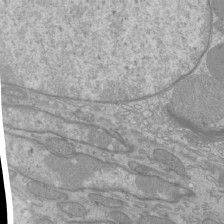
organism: Mouse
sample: Cilia; mouse epididymis